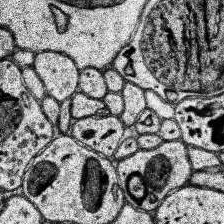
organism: Human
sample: Temporal Lobe